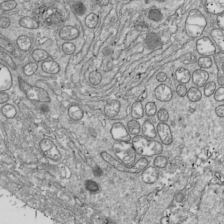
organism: Drosophila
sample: Cell division; meiosis; drosophila spermatocytes